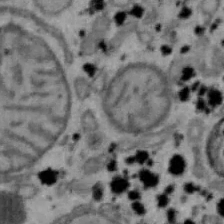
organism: Mouse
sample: Liver